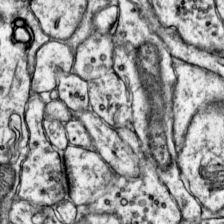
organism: Mouse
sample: Primary visual cortex